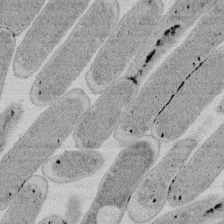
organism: E. coli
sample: Bacterial nucleoid